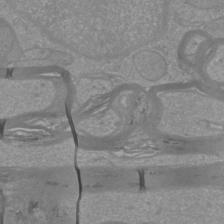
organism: Mouse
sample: Cortical neurons